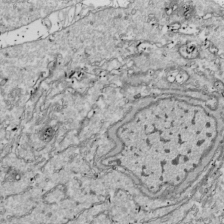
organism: Drosophila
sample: Cell division; meiosis; drosophila spermatocytes